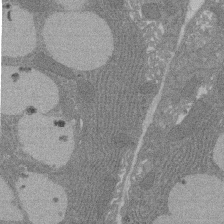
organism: Rat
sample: Salivary granule